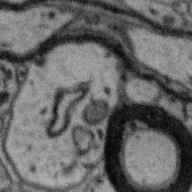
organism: Zebra finch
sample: Brain